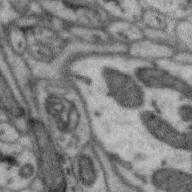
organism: Zebra finch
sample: Brain